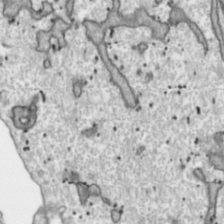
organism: Toxoplasma gondii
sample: Parasites in a vacuole inside a host cell